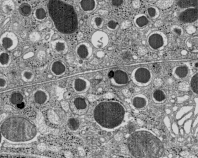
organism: C57BL Mouse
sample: Pancreatic islet